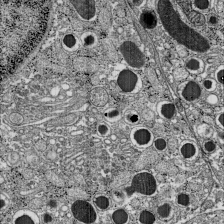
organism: C57BL Mouse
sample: Pancreatic islet